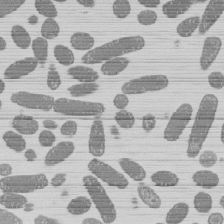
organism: E. coli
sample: Bacterial nucleoid